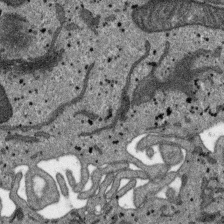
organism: Human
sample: Lung epithelial cells, uninfected (mock) control